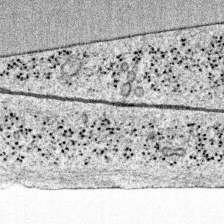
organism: Human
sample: HeLa cells